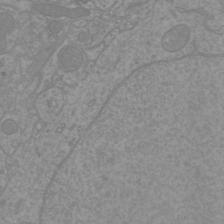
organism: Mouse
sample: Cortical neurons